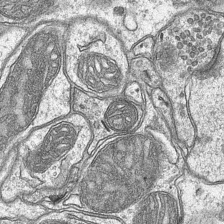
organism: Mouse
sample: CA1 Hippocampus